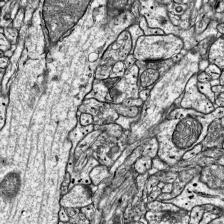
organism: Mouse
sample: Visual Cortex